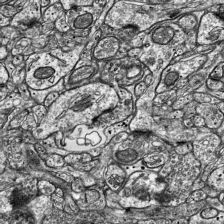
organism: Mouse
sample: Visual Cortex